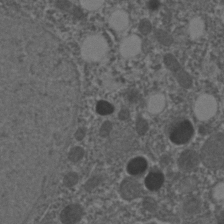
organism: C. elegans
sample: C. elegans embryo